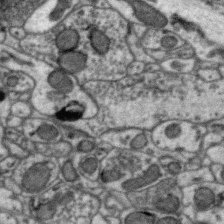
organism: Zebra finch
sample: Brain